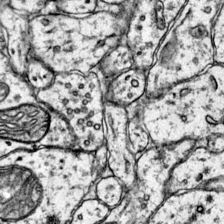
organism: Mouse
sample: Primary visual cortex